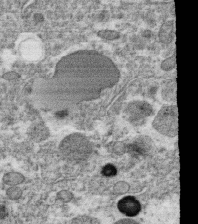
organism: C. elegans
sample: C. elegans oocyte; sperm cells